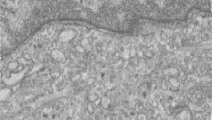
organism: Human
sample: Centriole in RPE cells